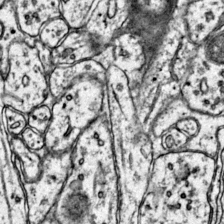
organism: Mouse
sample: Primary visual cortex